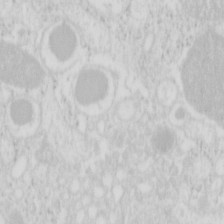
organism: Mouse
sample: Pancreas